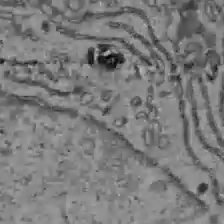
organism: C57BL Mouse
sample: Liver